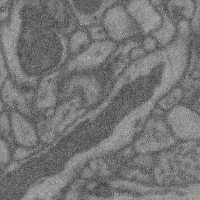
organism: Mouse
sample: Cerebral cortex